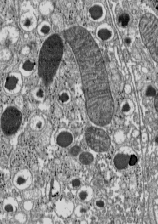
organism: C57BL Mouse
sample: Pancreatic islet